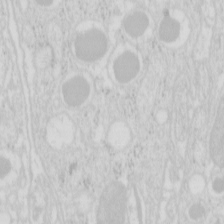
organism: Mouse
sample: Pancreas